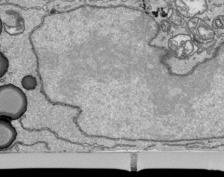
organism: Human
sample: Mitochondria in HCT116 cells